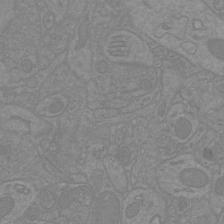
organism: Mouse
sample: Cortical neurons